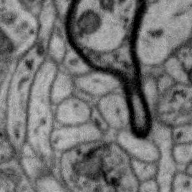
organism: Zebra finch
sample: Brain